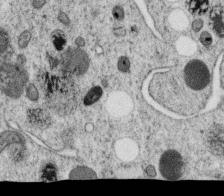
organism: C. elegans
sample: C. elegans oocyte; sperm cells